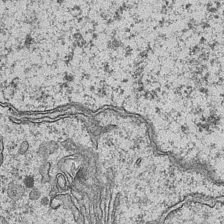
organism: Mouse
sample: CA1 Hippocampus